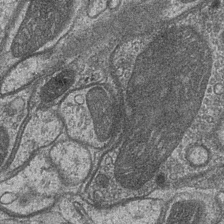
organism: Drosophila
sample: Optic medulla